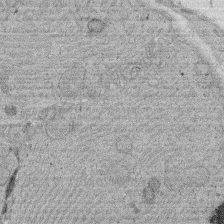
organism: Rat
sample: Salivary granule